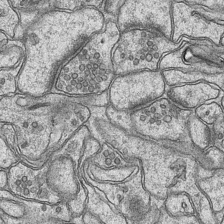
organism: Mouse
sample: CA1 Hippocampus